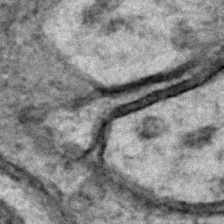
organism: C. elegans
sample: C. elegans embryo